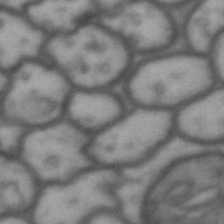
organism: Drosophila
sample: Brain